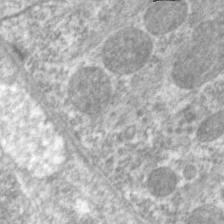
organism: C. elegans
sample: Pharynx